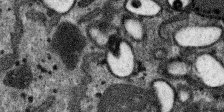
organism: Human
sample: Lung epithelial cells infected with SARS-CoV-2